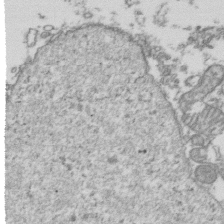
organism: Human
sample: Activated Jurkat CD4+ T cells